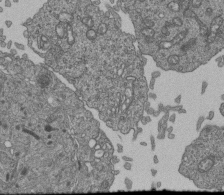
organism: Human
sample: Retinal organoid Rod and Cone cells